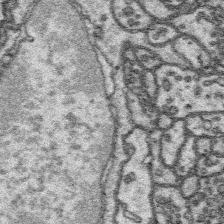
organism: Platynereis dumerilii